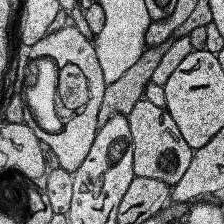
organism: Human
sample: Temporal Lobe